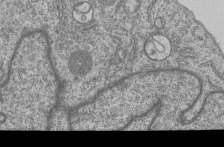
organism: Human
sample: MDA-MB-231 cells